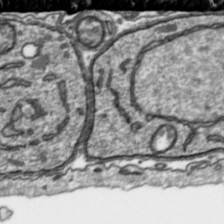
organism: Toxoplasma gondii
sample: Parasites in a vacuole inside a host cell